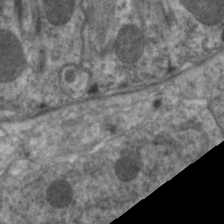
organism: C. elegans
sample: Pharynx